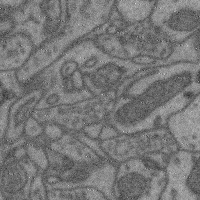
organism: Mouse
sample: Cerebral cortex